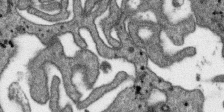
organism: Human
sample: Lung epithelial cells, uninfected (mock) control